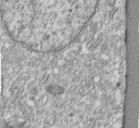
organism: Human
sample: Centriole in fibroblast cells